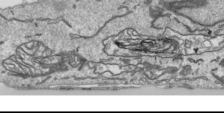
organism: Human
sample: Mitochondria in HCT116 cells